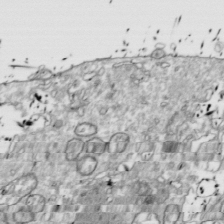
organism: Drosophila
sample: Cell division; meiosis; drosophila spermatocytes